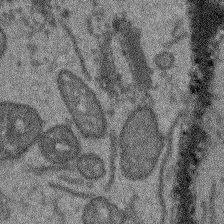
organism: Arabidopsis thaliana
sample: Root tip